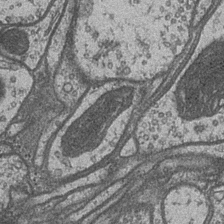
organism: Drosophila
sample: Optic medulla